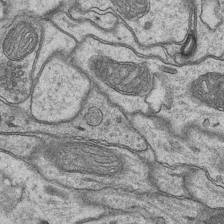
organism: Mouse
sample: CA1 Hippocampus